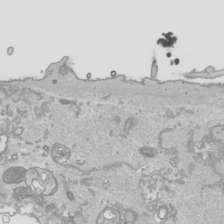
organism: Human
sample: Mitochondria in HCT116 cells